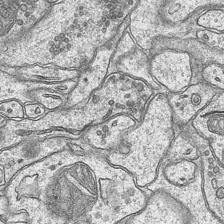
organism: Mouse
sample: CA1 Hippocampus